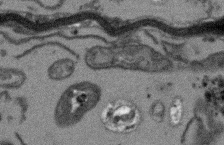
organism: Arabidopsis thaliana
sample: Root tip